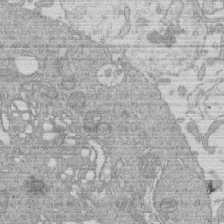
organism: Human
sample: Macrophage cells